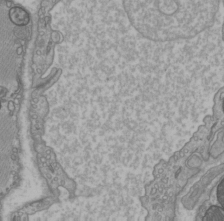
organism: C57BL Mouse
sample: Heart